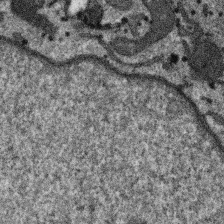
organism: Human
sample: Lung epithelial cells infected with SARS-CoV-2